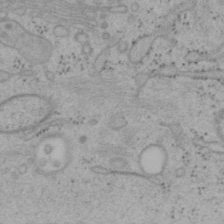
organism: Human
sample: HeLa cells